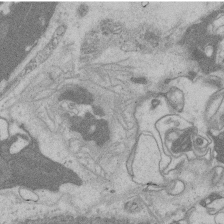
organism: Rat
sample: Salivary granule